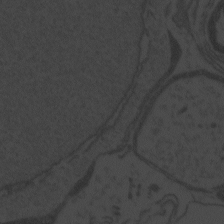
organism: Zebrafish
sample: Macrophage infected with Toxoplasma gondii